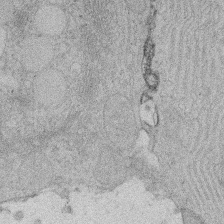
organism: Rat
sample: Salivary granule